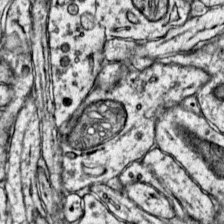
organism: Mouse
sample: Primary visual cortex